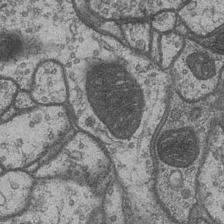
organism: Drosophila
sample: Optic medulla